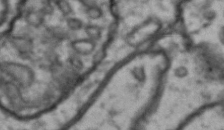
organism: Drosophila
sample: Brain